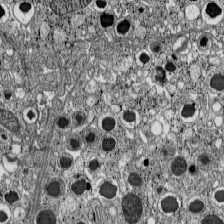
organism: C57BL Mouse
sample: Pancreatic islet